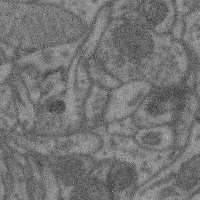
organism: Mouse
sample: Cerebral cortex